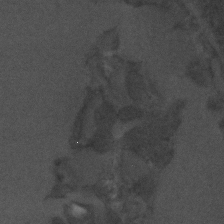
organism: C. elegans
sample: C. elegans embryo